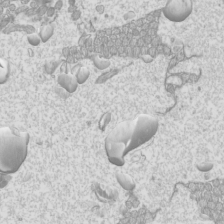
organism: Mouse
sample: Cilia; mouse epididymis